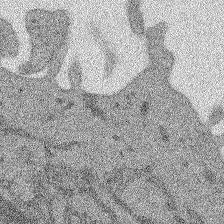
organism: Human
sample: HeLa cells